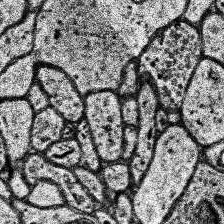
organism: Human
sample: Temporal Lobe